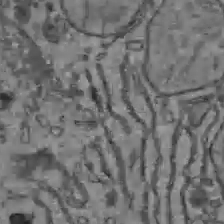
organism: C57BL Mouse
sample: Liver